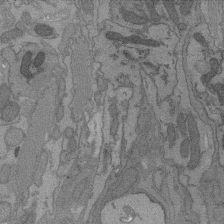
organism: C. elegans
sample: AFD neurons C. elegans